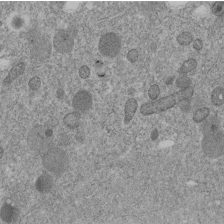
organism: C. elegans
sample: C. elegans embryo early stage